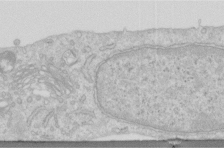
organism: Human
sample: Centriole in RPE cells